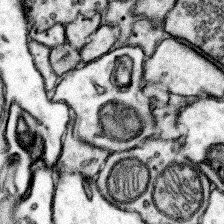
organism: Mouse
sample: Somatosensory cortex neuropil